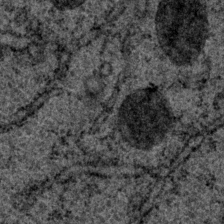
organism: P. pacificus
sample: Pharynx